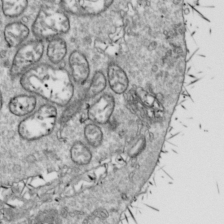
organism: Drosophila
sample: Cell division; meiosis; drosophila spermatocytes